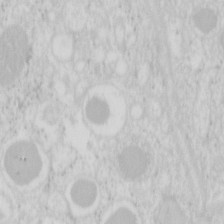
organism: Mouse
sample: Pancreas